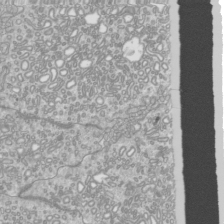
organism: Mouse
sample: Cilia; mouse epididymis